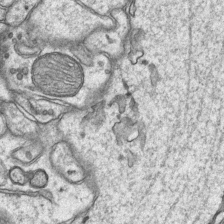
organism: Mouse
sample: CA1 Hippocampus